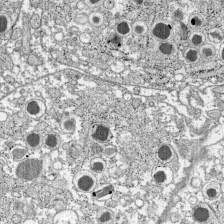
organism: C57BL Mouse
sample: Pancreatic islet